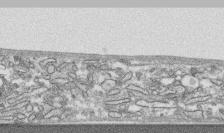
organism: Human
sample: CRL-1474